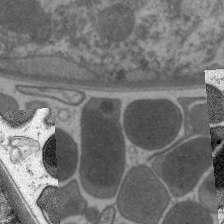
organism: C. elegans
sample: Pharynx